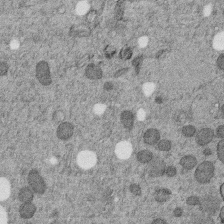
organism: C. elegans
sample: C. elegans embryo early stage